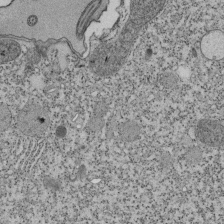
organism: Tetrahymena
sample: Cilia in tetrahymena